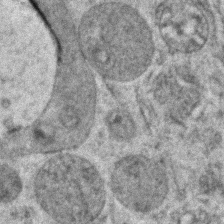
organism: Zebrafish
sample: Zebrafish embryo